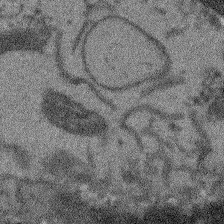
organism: Arabidopsis thaliana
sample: Root tip